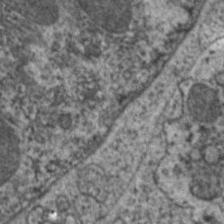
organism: C. elegans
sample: Pharynx